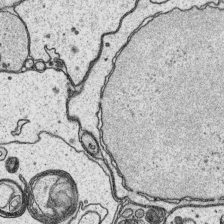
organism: Platynereis dumerilii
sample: Parapodia